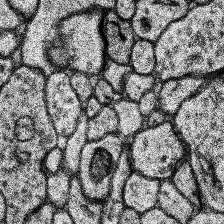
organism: Human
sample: Temporal Lobe